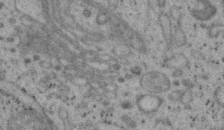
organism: Human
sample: HeLa cells